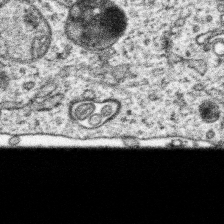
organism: Human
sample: HeLa cells